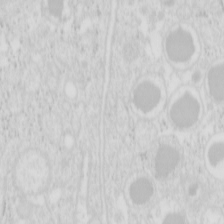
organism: Mouse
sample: Pancreas